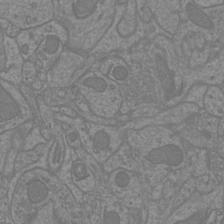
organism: Mouse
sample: Cortical neurons